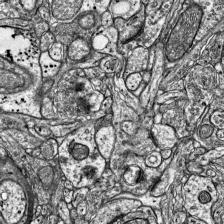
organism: Mouse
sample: Visual Cortex